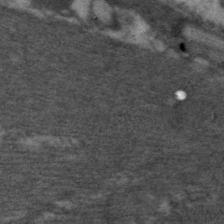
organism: C. elegans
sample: Pharynx